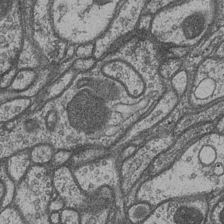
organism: Drosophila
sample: Optic medulla